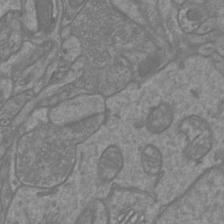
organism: Mouse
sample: Cortical neurons